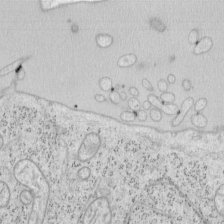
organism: Mouse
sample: OT-I killer T cells with ID8 ovarian cancer cells